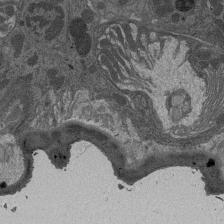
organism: Drosophila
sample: Antenna